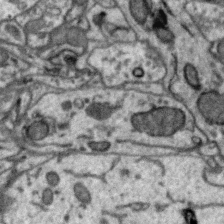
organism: Zebra finch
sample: Brain